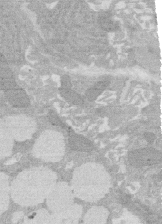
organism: Rat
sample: Salivary granule